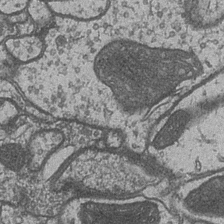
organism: Drosophila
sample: Optic medulla